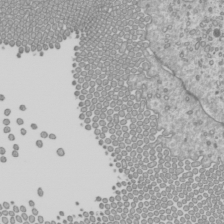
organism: Mouse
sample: Cilia; mouse epididymis